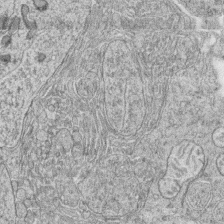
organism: Zebrafish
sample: synaptic ribbons in rod cells and cone cells